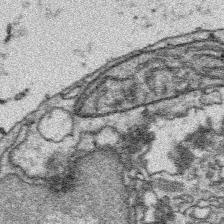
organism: Platynereis dumerilii